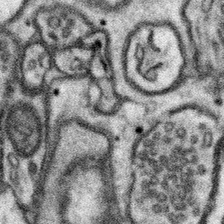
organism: Mouse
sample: Somatosensory cortex neuropil